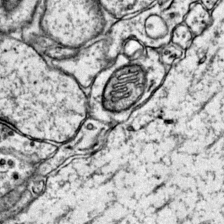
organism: Mouse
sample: Primary visual cortex